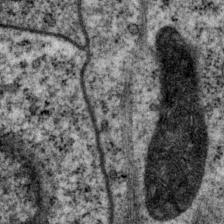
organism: P. pacificus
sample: Pharynx